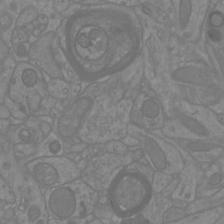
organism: Mouse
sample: Cortical neurons